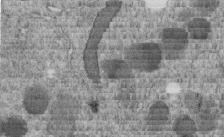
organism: C. elegans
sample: C. elegans embryo early stage